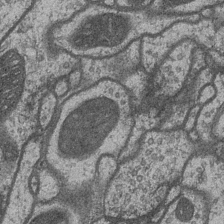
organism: Drosophila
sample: Optic medulla